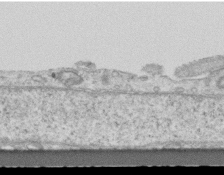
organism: Mouse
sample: Centriole in ependymal cells